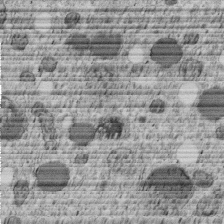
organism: C. elegans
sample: C. elegans embryo early stage